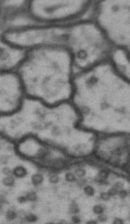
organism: Drosophila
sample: Brain